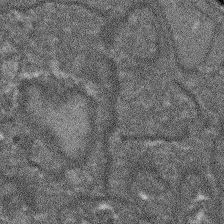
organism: Arabidopsis thaliana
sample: Root tip